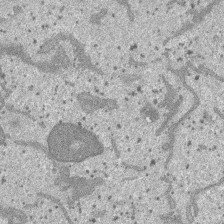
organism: Human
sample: Lung epithelial cells infected with SARS-CoV-2